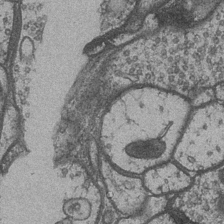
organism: Drosophila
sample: Optic medulla